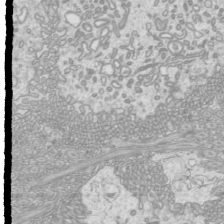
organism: Mouse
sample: Cilia; mouse epididymis